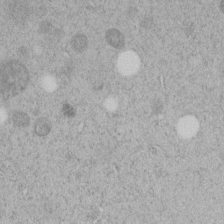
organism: C. elegans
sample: C. elegans embryo early stage